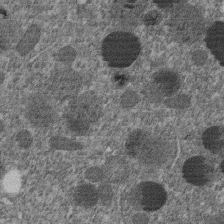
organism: C. elegans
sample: C. elegans embryo early stage